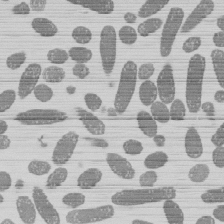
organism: E. coli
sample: Bacterial nucleoid